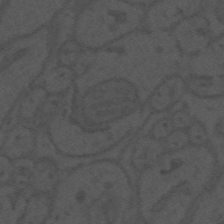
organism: Mouse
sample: Suprachiasmatic nucleus